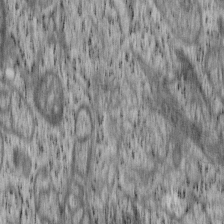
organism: Human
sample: HeLa cells